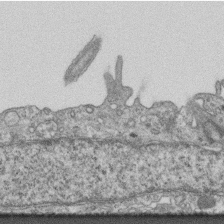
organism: Mouse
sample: Centriole in ependymal cells